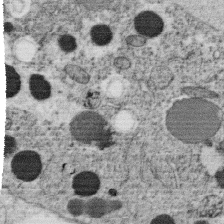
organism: C. elegans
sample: C. elegans oocyte; sperm cells